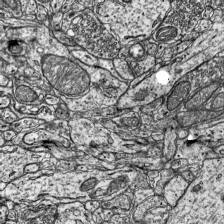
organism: Mouse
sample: Visual Cortex